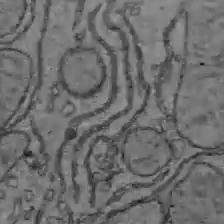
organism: C57BL Mouse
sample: Liver